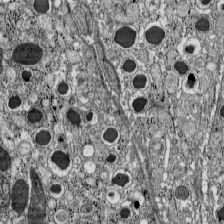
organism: C57BL Mouse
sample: Pancreatic islet